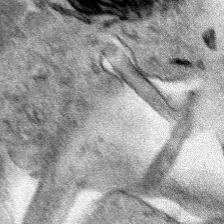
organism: Human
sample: Mitochondria in HCT116 cells